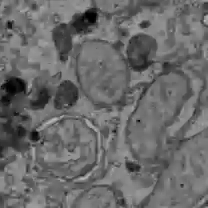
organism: C57BL Mouse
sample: Liver